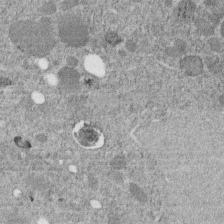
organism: C. elegans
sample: C. elegans embryo early stage